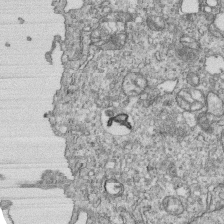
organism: Human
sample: HeLa cell HIV synapse